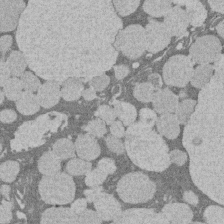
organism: Rat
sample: Salivary granule